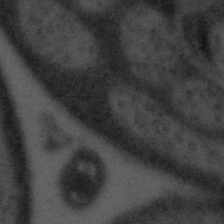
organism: Tuwongella immobilis